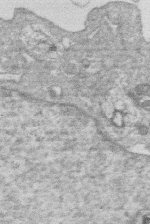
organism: Human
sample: Macrophage cells